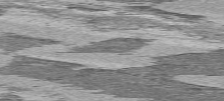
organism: C57BL Mouse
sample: Heart